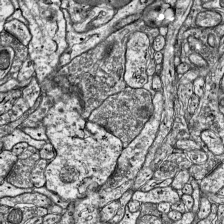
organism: Mouse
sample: Visual Cortex